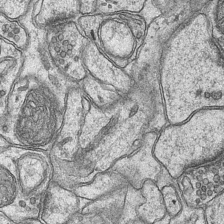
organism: Mouse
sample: CA1 Hippocampus